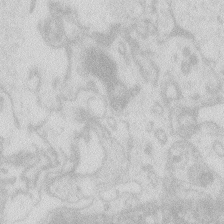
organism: Zebrafish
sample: Macrophage